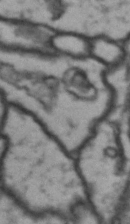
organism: Drosophila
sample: Brain